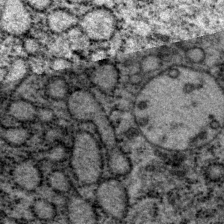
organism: P. pacificus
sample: Pharynx